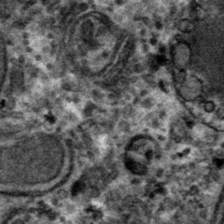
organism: Mouse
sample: Mouse hepatocytes